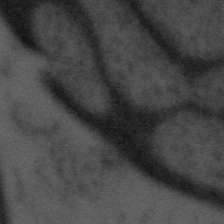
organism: Tuwongella immobilis